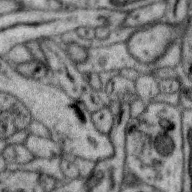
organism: Zebra finch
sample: Brain